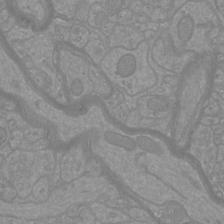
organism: Mouse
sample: Cortical neurons